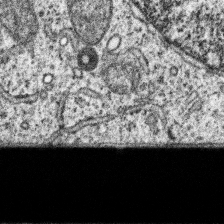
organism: Human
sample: HeLa cells